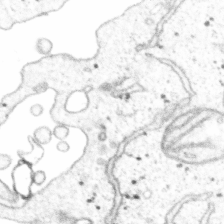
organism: Human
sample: HeLa cells